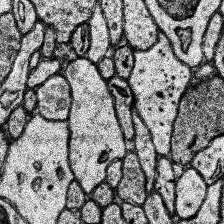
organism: Human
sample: Temporal Lobe